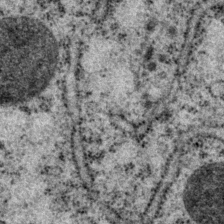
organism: P. pacificus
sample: Pharynx